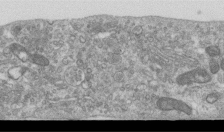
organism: Human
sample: Centriole in RPE cells